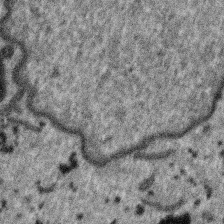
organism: Human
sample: Lung epithelial cells infected with SARS-CoV-2